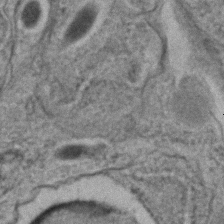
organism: C. elegans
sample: C. elegans embryo